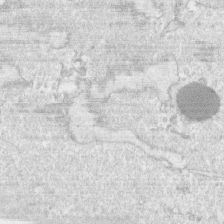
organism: Human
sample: CRL-1474